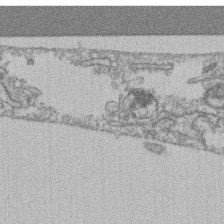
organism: Mouse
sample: T cell stromal cell synapse